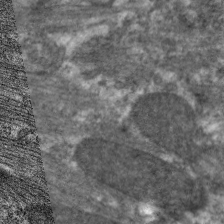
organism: C. elegans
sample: Pharynx